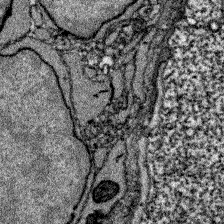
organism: Zebrafish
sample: Larval olfactory bulb